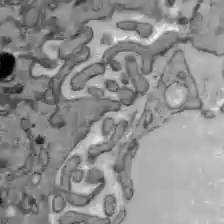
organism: C57BL Mouse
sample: Liver